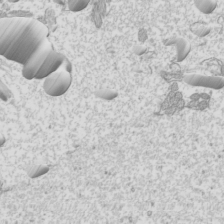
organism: Mouse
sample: Cilia; mouse epididymis